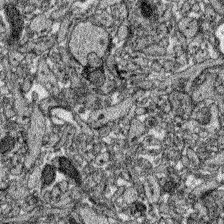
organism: Zebrafish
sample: Larval olfactory bulb